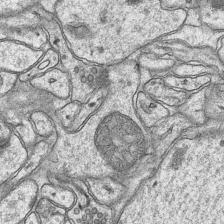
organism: Mouse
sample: CA1 Hippocampus